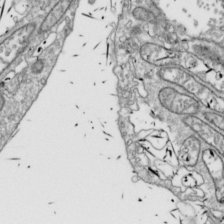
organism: Drosophila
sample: Cell division; meiosis; drosophila spermatocytes